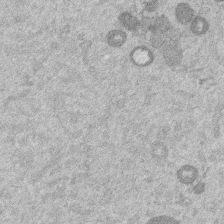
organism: Mouse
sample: Dividing mouse embryo 1 cell stage